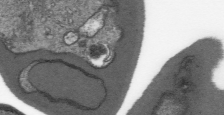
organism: Plasmodium falciparum